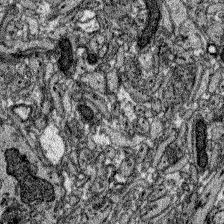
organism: Zebrafish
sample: Larval olfactory bulb